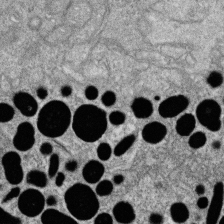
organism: Zebrafish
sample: Cilia; retinal pigment epithelium